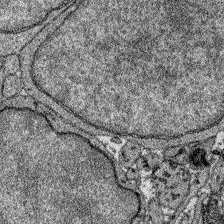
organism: Zebrafish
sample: Larval olfactory bulb